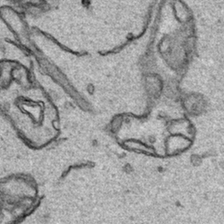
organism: Human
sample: Mitochondria in HCT116 cells